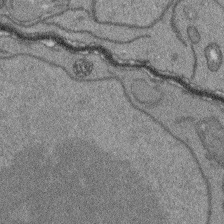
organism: Arabidopsis thaliana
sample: Root tip